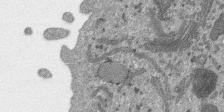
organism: Human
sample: Lung epithelial cells infected with SARS-CoV-2